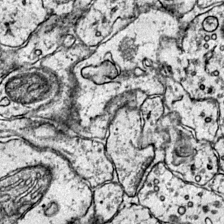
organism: Mouse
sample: Primary visual cortex